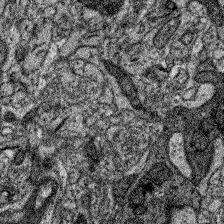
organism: Zebrafish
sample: Larval olfactory bulb